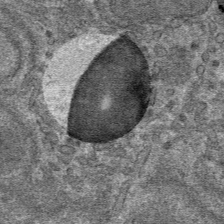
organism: Mouse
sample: Mouse hepatocytes